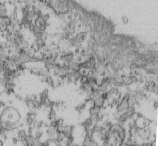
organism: Mouse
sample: Cilia; retinal pigment epithelium